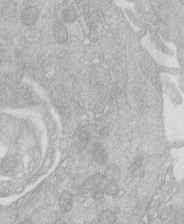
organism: Human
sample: Macrophage cells